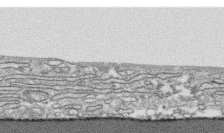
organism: Human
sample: CRL-1474